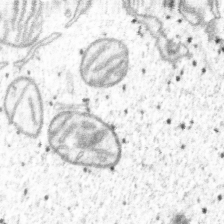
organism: Human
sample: HeLa cells